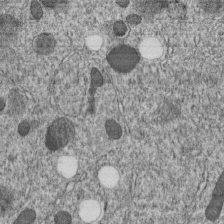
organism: C. elegans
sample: C. elegans embryo early stage